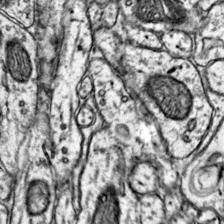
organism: Mouse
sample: Primary visual cortex